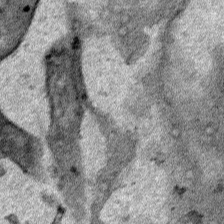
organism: Human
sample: Mitochondria in HCT116 cells